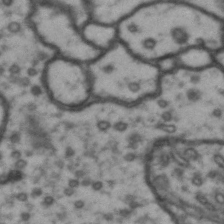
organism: Drosophila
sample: Brain